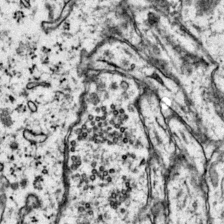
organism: Mouse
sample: Primary visual cortex